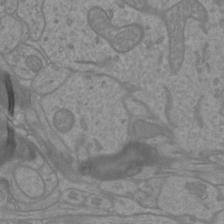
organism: Mouse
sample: Cortical neurons